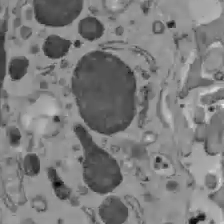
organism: C57BL Mouse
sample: Liver